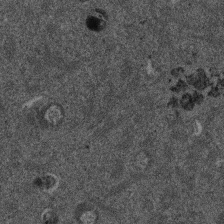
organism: Mouse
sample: Dividing mouse embryo 1 cell stage